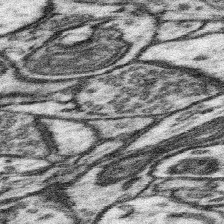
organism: Mouse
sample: Somatosensory cortex neuropil